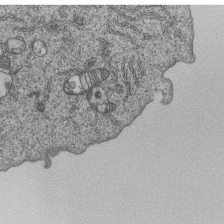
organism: Human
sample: MDA-MB-231 cells